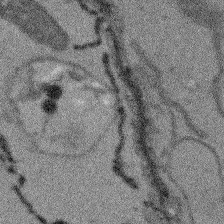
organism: Arabidopsis thaliana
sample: Root tip